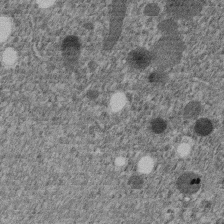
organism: C. elegans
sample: C. elegans embryo early stage